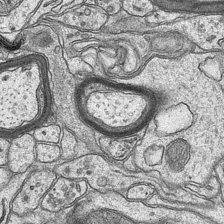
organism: Mouse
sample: CA1 Hippocampus